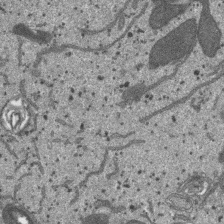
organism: Human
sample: Lung epithelial cells infected with SARS-CoV-2